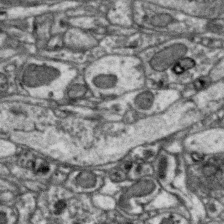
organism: Zebra finch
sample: Brain